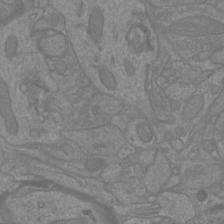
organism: Mouse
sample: Cortical neurons